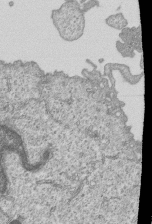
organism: Human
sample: MDA-MB-231 cells